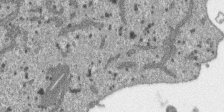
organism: Human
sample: Lung epithelial cells infected with SARS-CoV-2